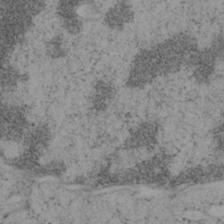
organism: Mouse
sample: OT-I killer T cells with ID8 ovarian cancer cells